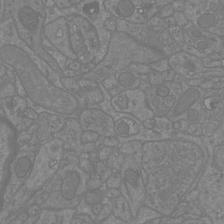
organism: Mouse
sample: Cortical neurons